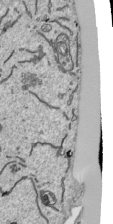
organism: Human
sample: Mitochondria in HCT116 cells